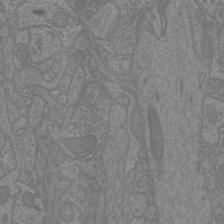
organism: Mouse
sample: Cortical neurons